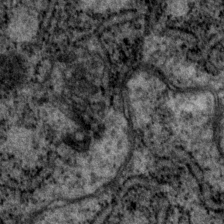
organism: P. pacificus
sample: Pharynx